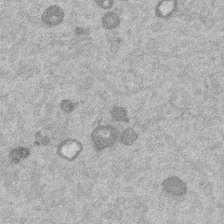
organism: Mouse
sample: Dividing mouse embryo 1 cell stage